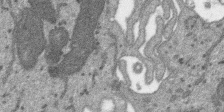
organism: Human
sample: Lung epithelial cells infected with SARS-CoV-2